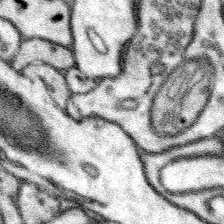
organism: Mouse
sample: Somatosensory cortex neuropil